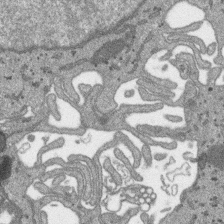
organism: Human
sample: Lung epithelial cells infected with SARS-CoV-2